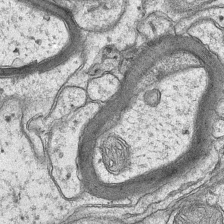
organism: Mouse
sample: CA1 Hippocampus